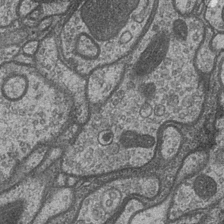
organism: Drosophila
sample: Optic medulla